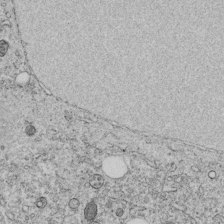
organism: C. elegans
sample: C. elegans embryo early stage